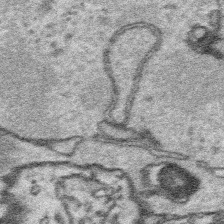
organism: Platynereis dumerilii